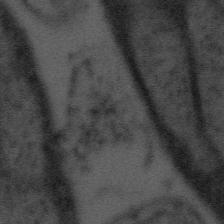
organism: Tuwongella immobilis